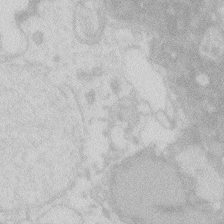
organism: Zebrafish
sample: Macrophage